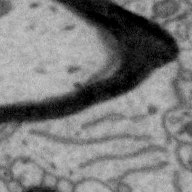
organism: Zebra finch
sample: Brain